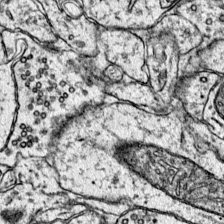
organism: Mouse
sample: Primary visual cortex